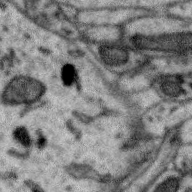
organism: Zebra finch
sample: Brain